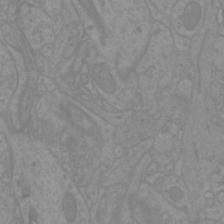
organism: Mouse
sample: Cortical neurons